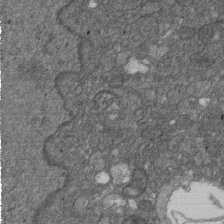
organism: Drosophila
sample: Nephrocyte